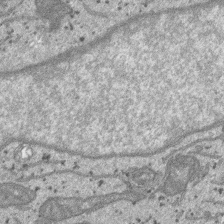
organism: Human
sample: Lung epithelial cells infected with SARS-CoV-2